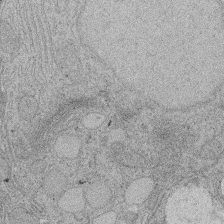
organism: Rat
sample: Salivary granule